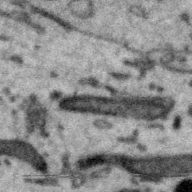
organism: Zebra finch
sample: Brain